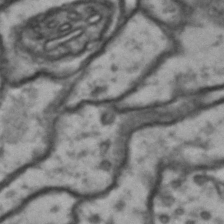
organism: Drosophila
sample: Brain